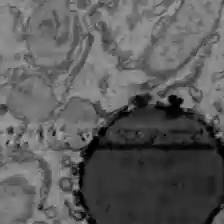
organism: C57BL Mouse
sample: Liver